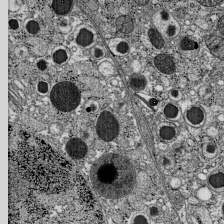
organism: C57BL Mouse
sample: Pancreatic islet